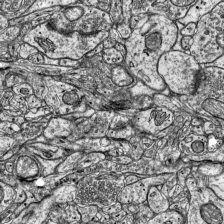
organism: Mouse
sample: Visual Cortex